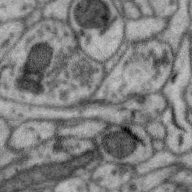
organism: Zebra finch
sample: Brain